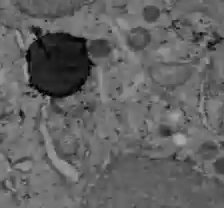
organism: C57BL Mouse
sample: Liver